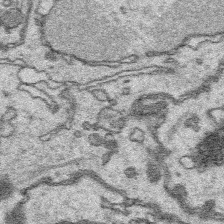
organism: Platynereis dumerilii